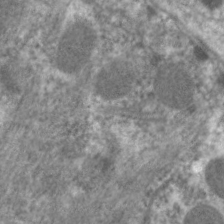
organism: C. elegans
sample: Pharynx